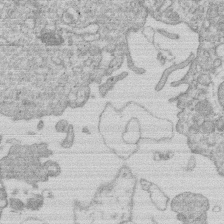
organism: Human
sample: Macrophage cells